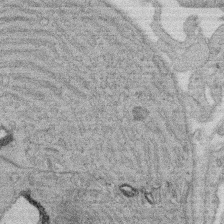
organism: Rat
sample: Salivary granule